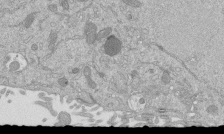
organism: Mouse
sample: ED-1 cell nuclei; centrioles